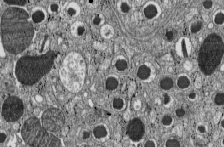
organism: C57BL Mouse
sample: Pancreatic islet